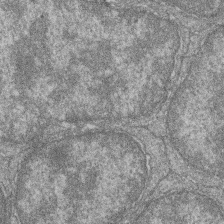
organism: Zebrafish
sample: Cilia; retinal pigment epithelium